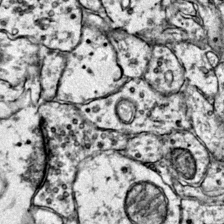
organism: Mouse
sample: Primary visual cortex